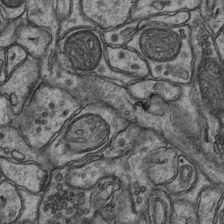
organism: Mouse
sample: CA1 Hippocampus